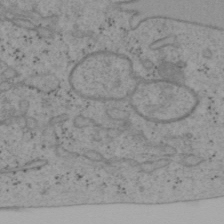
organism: Human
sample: HeLa cells